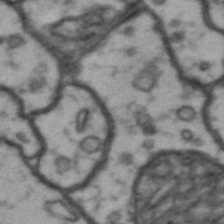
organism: Drosophila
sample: Brain